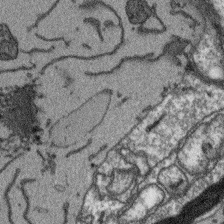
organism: Arabidopsis thaliana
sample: Root tip